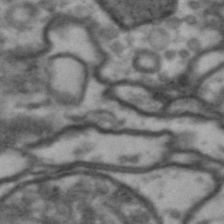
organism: Drosophila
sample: Brain